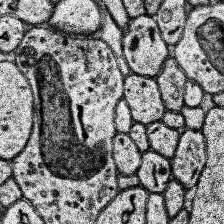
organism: Human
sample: Temporal Lobe